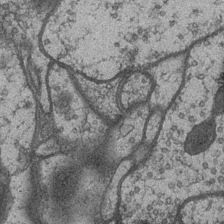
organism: Drosophila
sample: Optic medulla